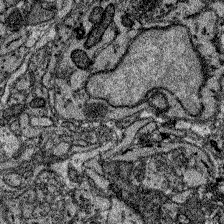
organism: Zebrafish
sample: Larval olfactory bulb